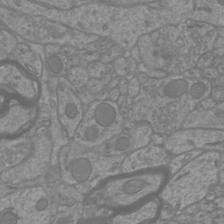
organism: Mouse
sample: Cortical neurons